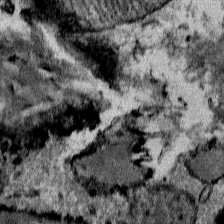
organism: Mouse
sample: Mouse Salivary gland